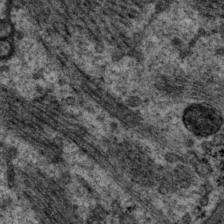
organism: P. pacificus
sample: Pharynx